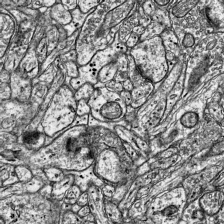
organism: Mouse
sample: Visual Cortex